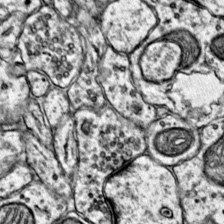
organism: Mouse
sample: Primary visual cortex